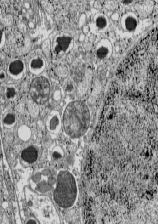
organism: C57BL Mouse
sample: Pancreatic islet